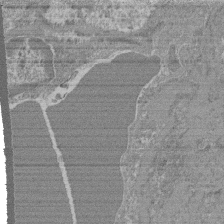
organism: Mouse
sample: Glomerulus